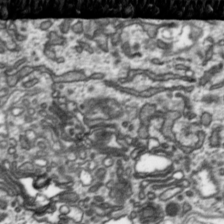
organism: Toxoplasma gondii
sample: Parasites in a vacuole inside a host cell